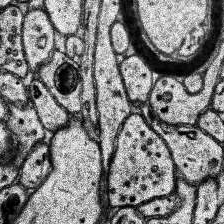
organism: Human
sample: Temporal Lobe